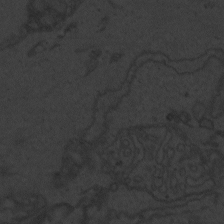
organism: Zebrafish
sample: Macrophage infected with Toxoplasma gondii